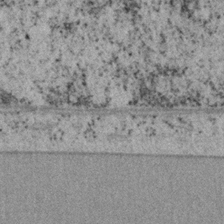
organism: Human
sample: HeLa cells